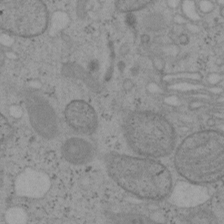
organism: Mouse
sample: OT-I killer T cells with ID8 ovarian cancer cells